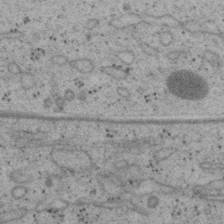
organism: Human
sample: HeLa cells